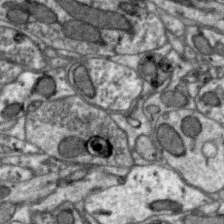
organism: Zebra finch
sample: Brain